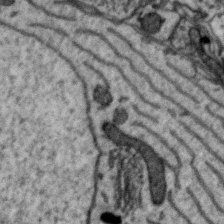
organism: Zebra finch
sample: Brain